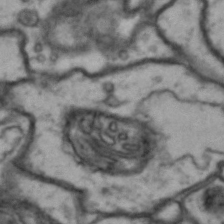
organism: Drosophila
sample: Brain